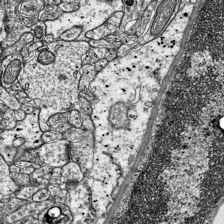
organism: Mouse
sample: Visual Cortex